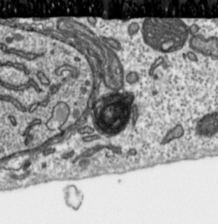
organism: Toxoplasma gondii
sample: Parasites in a vacuole inside a host cell